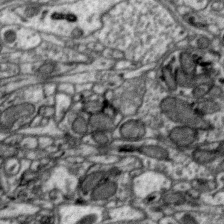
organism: Zebra finch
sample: Brain